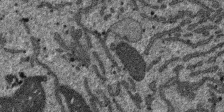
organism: Human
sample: Lung epithelial cells infected with SARS-CoV-2